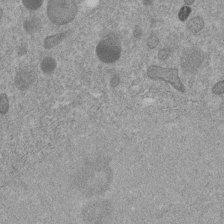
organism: C. elegans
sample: C. elegans embryo early stage